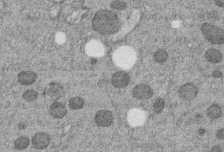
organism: C. elegans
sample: C. elegans embryo early stage